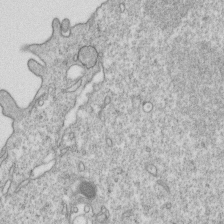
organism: Mouse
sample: Activated OT-1 CD8+ T cells